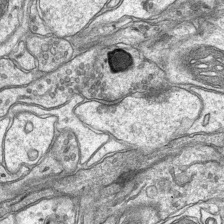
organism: Mouse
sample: CA1 Hippocampus